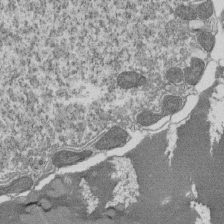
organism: Tetrahymena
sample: Cilia in tetrahymena